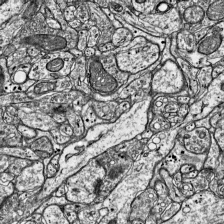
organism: Mouse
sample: Visual Cortex